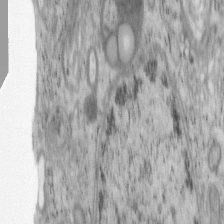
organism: Human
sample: HeLa cells